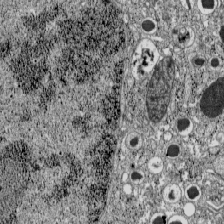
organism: C57BL Mouse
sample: Pancreatic islet